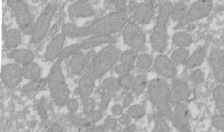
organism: Xenopus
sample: Cilia; centrioles in frog embryo cells